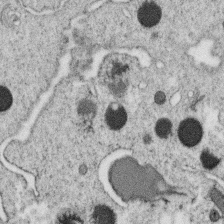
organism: C. elegans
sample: C. elegans oocyte; sperm cells